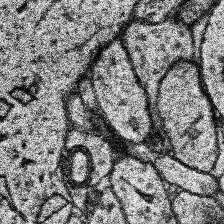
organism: Human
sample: Temporal Lobe